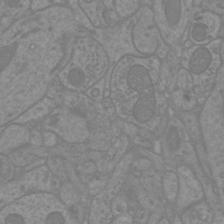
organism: Mouse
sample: Cortical neurons